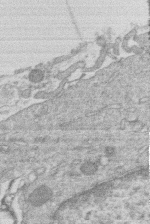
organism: Human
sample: Macrophage cells